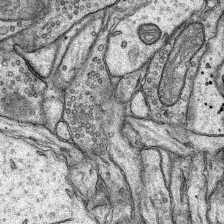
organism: Rat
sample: Hippocampus